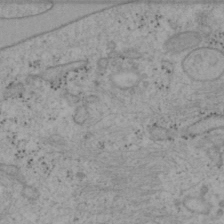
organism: Human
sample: HeLa cells